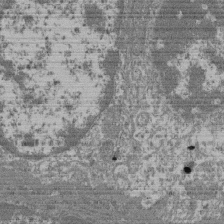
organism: Mouse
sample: Glomerulus